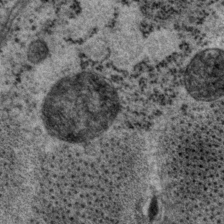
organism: P. pacificus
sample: Pharynx